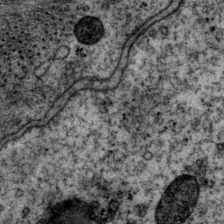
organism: P. pacificus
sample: Pharynx